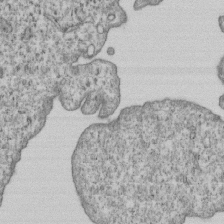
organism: Human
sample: MDA-MB-231 cells